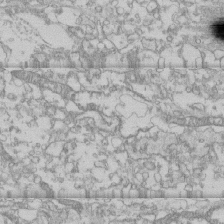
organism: Human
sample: CRL-1474